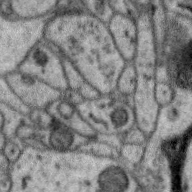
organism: Zebra finch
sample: Brain